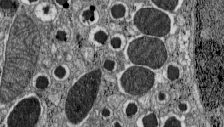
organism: C57BL Mouse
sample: Pancreatic islet